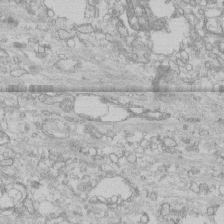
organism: Human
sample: CRL-1474